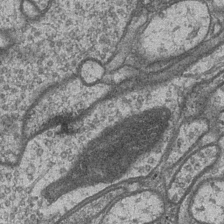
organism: Drosophila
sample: Optic medulla